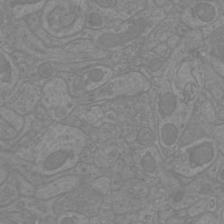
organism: Mouse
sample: Cortical neurons